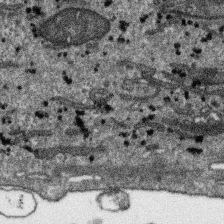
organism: Human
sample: Lung epithelial cells infected with SARS-CoV-2